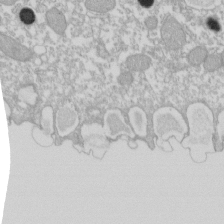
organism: Xenopus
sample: Cilia; centrioles in frog embryo cells